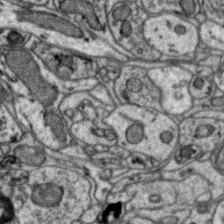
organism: Zebra finch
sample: Brain